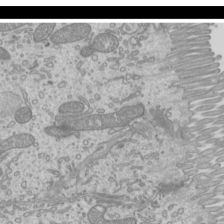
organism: Mouse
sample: Cilia; mouse epididymis